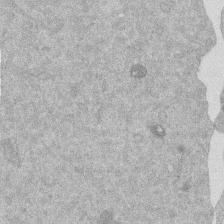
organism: Mouse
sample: Dividing mouse embryo 1 cell stage